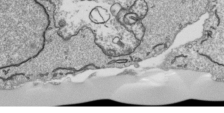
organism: Human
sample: Mitochondria in HCT116 cells